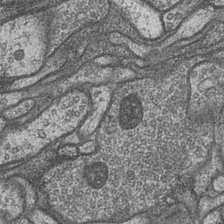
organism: Drosophila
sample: Optic medulla